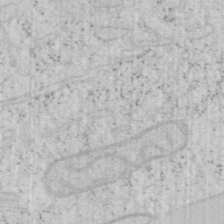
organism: Human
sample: HeLa cells